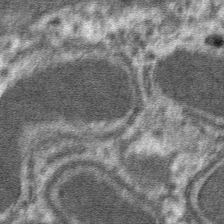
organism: Mouse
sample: Mouse hepatocytes